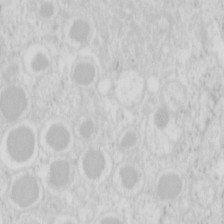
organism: Mouse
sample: Pancreas